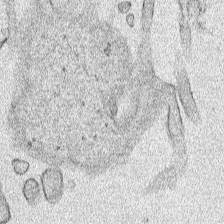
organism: Human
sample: Mitochondria in HCT116 cells